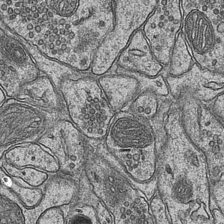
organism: Mouse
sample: CA1 Hippocampus